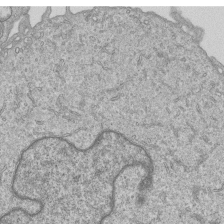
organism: Human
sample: MDA-MB-231 cells